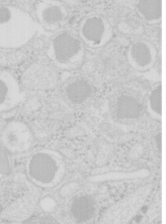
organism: Mouse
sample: Pancreas